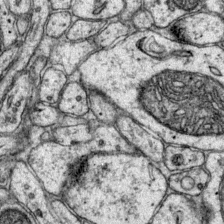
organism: Mouse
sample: Primary visual cortex